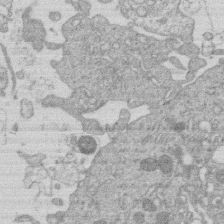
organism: Human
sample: Macrophage cells